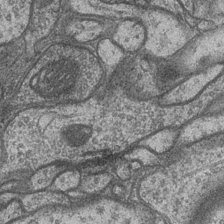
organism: Drosophila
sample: Optic medulla